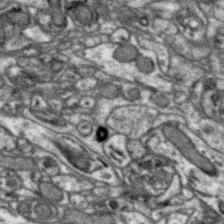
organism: Zebra finch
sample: Brain